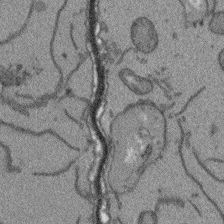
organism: Arabidopsis thaliana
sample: Root tip